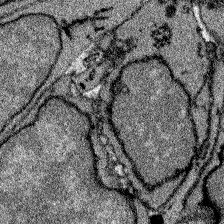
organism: Zebrafish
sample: Larval olfactory bulb